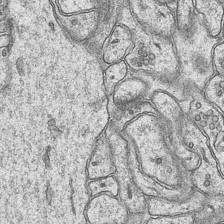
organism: Mouse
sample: CA1 Hippocampus